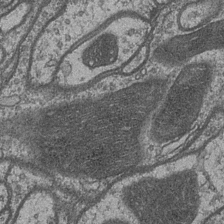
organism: Drosophila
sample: Optic medulla